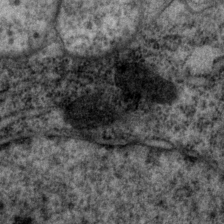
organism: P. pacificus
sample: Pharynx